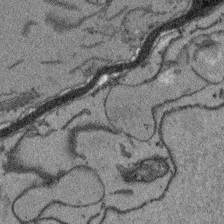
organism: Arabidopsis thaliana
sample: Root tip